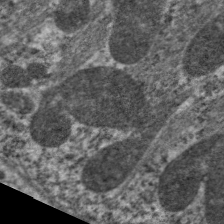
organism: C. elegans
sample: Pharynx